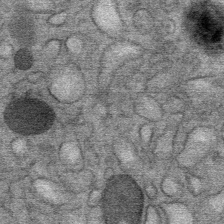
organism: Mouse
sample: Mouse Salivary gland